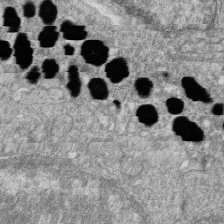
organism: Zebrafish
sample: Cilia; retinal pigment epithelium